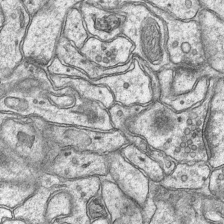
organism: Mouse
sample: CA1 Hippocampus